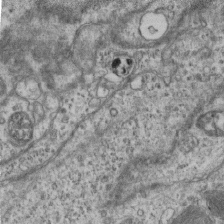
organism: Mouse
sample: Centriole in ependymal cells